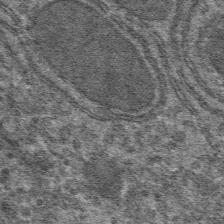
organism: Mouse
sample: Mouse hepatocytes